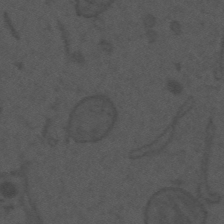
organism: Mouse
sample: Suprachiasmatic nucleus